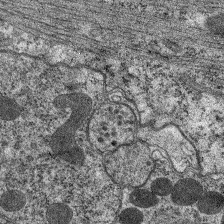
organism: C. elegans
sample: Pharynx